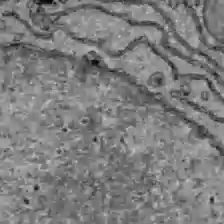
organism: C57BL Mouse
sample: Liver